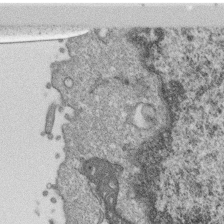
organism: African green monkey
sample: Vero E6 cells infected with SARS-CoV-2